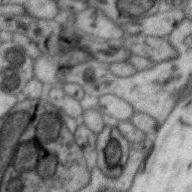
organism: Zebra finch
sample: Brain